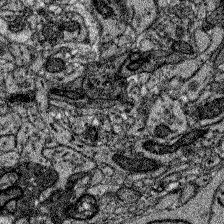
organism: Zebrafish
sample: Larval olfactory bulb